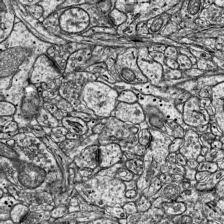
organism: Mouse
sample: Visual Cortex